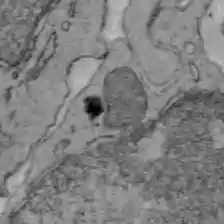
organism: C57BL Mouse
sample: Liver